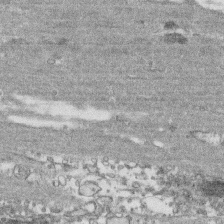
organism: Human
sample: CRL-1474